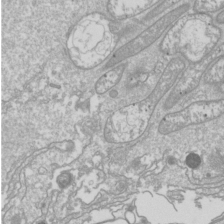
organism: Drosophila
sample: Cell division; meiosis; drosophila spermatocytes